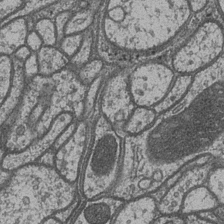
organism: Drosophila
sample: Optic medulla